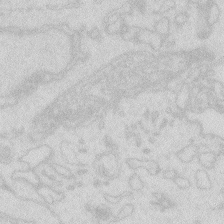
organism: Zebrafish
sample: Macrophage